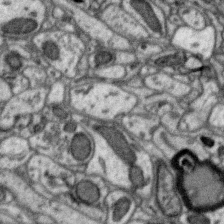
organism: Zebra finch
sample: Brain